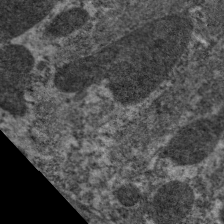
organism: C. elegans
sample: Pharynx